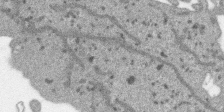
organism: Human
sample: Lung epithelial cells infected with SARS-CoV-2